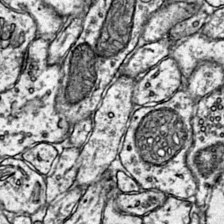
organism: Mouse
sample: Primary visual cortex